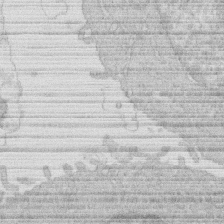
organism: Human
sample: Macrophage cells